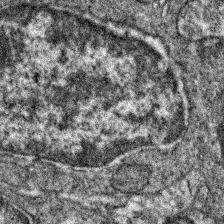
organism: Zebrafish